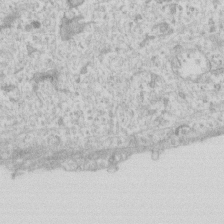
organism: Human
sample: Fibroblast cells